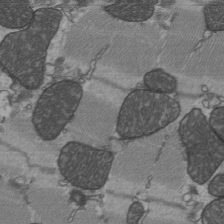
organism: C57BL Mouse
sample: Heart